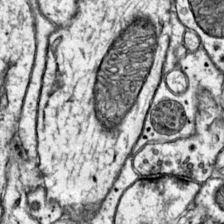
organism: Mouse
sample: Primary visual cortex